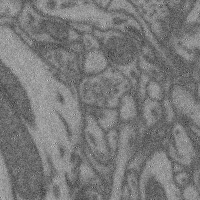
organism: Mouse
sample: Cerebral cortex